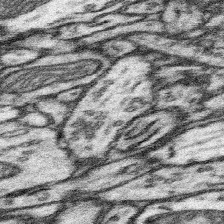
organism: Mouse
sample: Somatosensory cortex neuropil